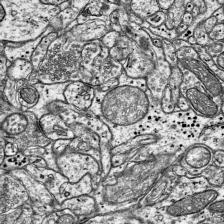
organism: Mouse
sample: Visual Cortex